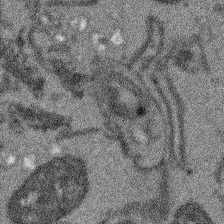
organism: Arabidopsis thaliana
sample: Root tip